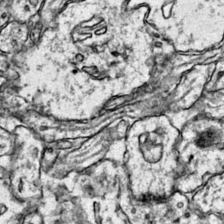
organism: Mouse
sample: Primary visual cortex